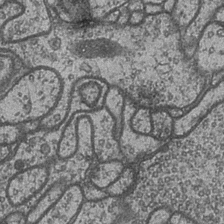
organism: Drosophila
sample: Optic medulla